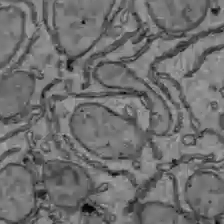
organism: C57BL Mouse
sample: Liver